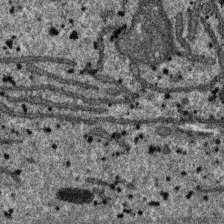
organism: Human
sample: Lung epithelial cells infected with SARS-CoV-2